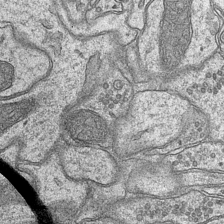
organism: Mouse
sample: CA1 Hippocampus